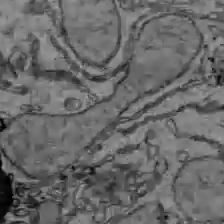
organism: C57BL Mouse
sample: Liver